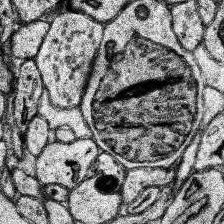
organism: Human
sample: Temporal Lobe